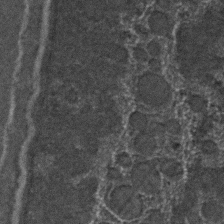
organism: C. elegans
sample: C. elegans embryo